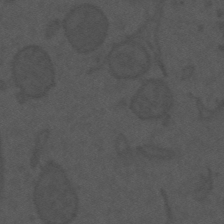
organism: Mouse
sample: Suprachiasmatic nucleus